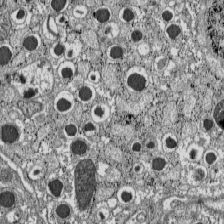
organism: C57BL Mouse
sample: Pancreatic islet